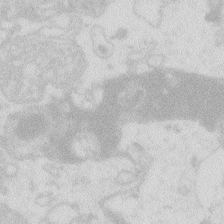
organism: Zebrafish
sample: Macrophage